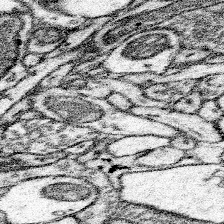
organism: Mouse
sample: Somatosensory cortex neuropil